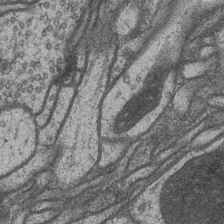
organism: Drosophila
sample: Optic medulla